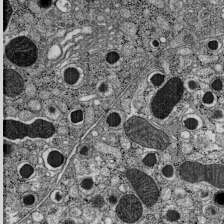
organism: C57BL Mouse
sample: Pancreatic islet